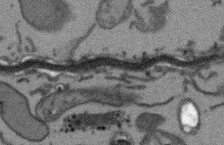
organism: Arabidopsis thaliana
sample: Root tip